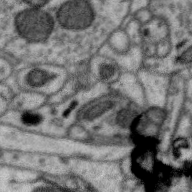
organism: Zebra finch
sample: Brain